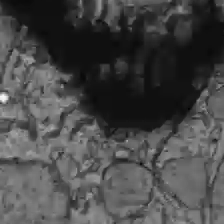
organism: C57BL Mouse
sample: Liver